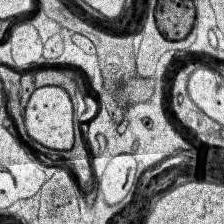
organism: Human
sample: Temporal Lobe